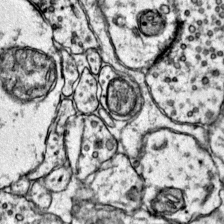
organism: Mouse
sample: Primary visual cortex